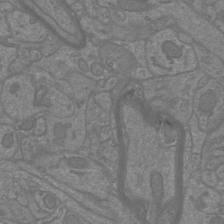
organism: Mouse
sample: Cortical neurons